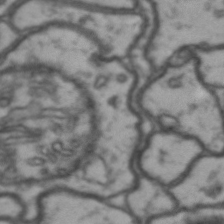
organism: Drosophila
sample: Brain